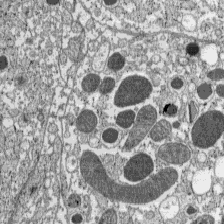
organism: C57BL Mouse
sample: Pancreatic islet